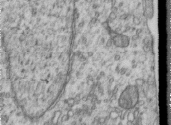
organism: Human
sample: Centriole in RPE cells